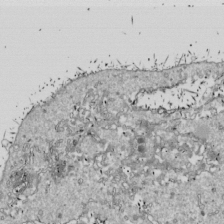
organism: Drosophila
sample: Cell division; meiosis; drosophila spermatocytes